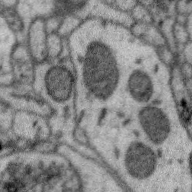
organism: Zebra finch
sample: Brain